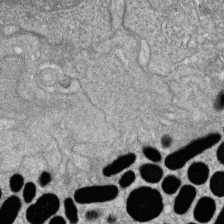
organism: Zebrafish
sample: Cilia; retinal pigment epithelium